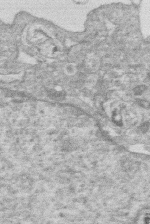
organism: Human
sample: Macrophage cells